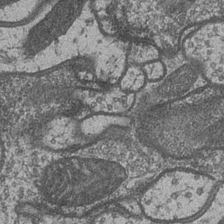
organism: Drosophila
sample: Optic medulla